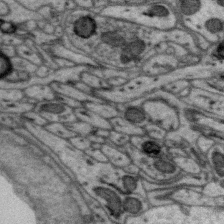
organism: Zebra finch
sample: Brain